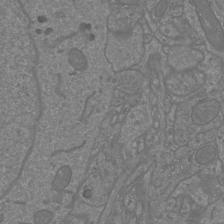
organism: Mouse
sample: Cortical neurons